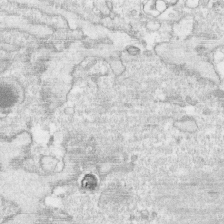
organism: Human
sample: CRL-1474